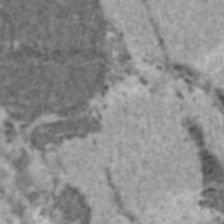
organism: C57BL Mouse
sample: Heart